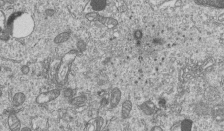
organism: Human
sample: MDA-MB-231 cells